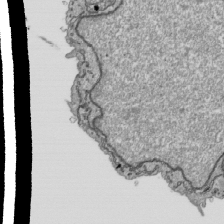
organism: Human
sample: Mitochondria in HCT116 cells